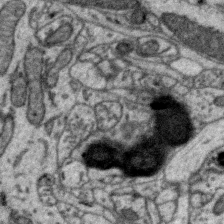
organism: Zebra finch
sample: Brain